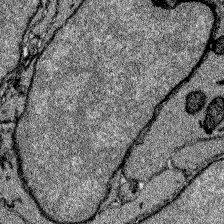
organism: Zebrafish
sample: Larval olfactory bulb